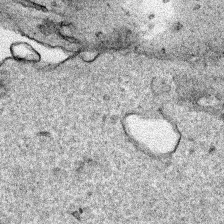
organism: Human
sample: Mitochondria in HCT116 cells